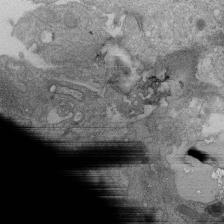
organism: Human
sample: Retinal organoid Rod and Cone cells